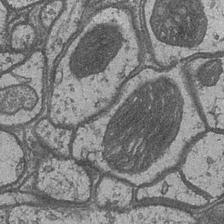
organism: Drosophila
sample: Optic medulla